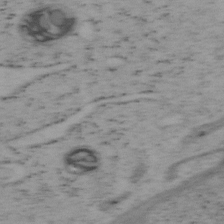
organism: Mouse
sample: OT-I killer T cells with ID8 ovarian cancer cells